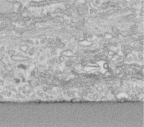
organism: Human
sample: Centriole in fibroblast cells